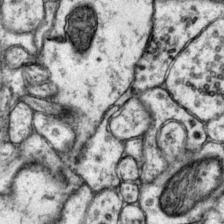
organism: Mouse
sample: Primary visual cortex